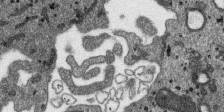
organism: Human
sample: Lung epithelial cells infected with SARS-CoV-2